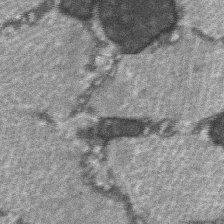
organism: C57BL Mouse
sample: Soleus